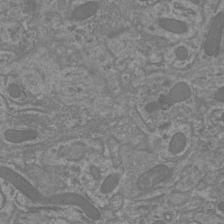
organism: Mouse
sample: Cortical neurons